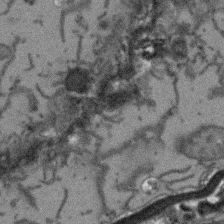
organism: Arabidopsis thaliana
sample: Root tip